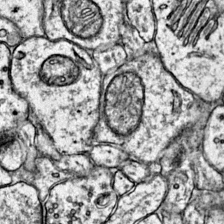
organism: Mouse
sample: Primary visual cortex